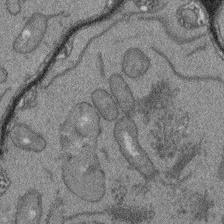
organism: Arabidopsis thaliana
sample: Root tip